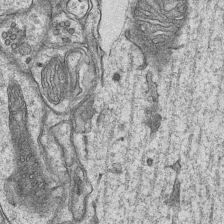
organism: Mouse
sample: CA1 Hippocampus